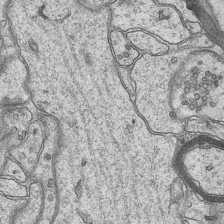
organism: Mouse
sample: CA1 Hippocampus